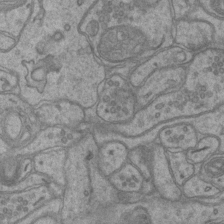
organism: Mouse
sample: CA1 Hippocampus